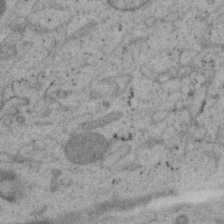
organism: Human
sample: HeLa cells